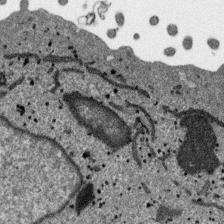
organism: Human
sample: Lung epithelial cells, uninfected (mock) control